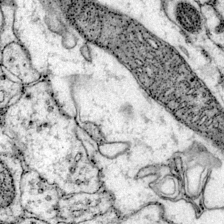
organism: Mouse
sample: Primary visual cortex